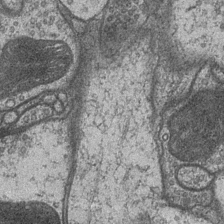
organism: Drosophila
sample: Optic medulla